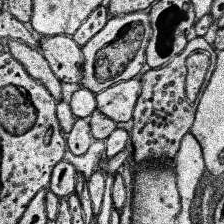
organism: Human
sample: Temporal Lobe